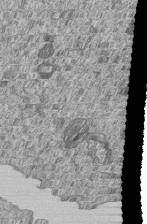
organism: Human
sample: MDA-MB-231 cells